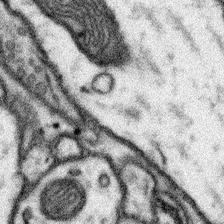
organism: Mouse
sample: Somatosensory cortex neuropil